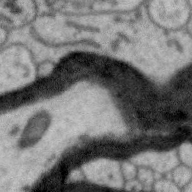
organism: Zebra finch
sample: Brain